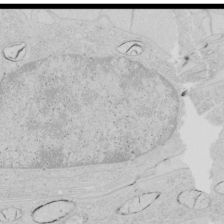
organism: Human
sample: Mitochondria in HCT116 cells